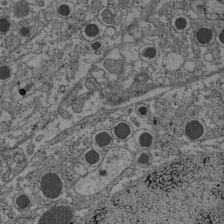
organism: C57BL Mouse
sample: Pancreatic islet